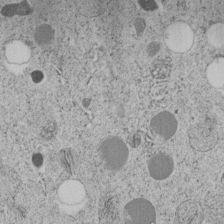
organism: C. elegans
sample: C. elegans embryo early stage